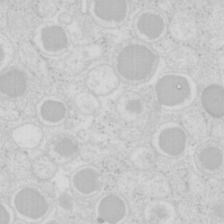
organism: Mouse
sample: Pancreas